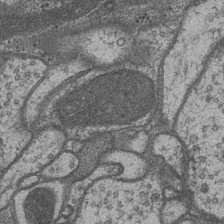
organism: Drosophila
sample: Optic medulla